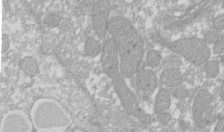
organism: Xenopus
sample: Cilia; centrioles in frog embryo cells